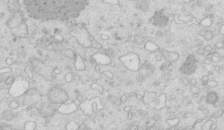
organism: Mouse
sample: Multiciliated cells